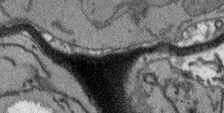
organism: Arabidopsis thaliana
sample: Root tip